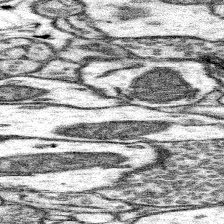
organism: Mouse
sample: Somatosensory cortex neuropil